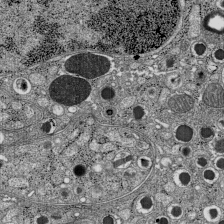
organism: C57BL Mouse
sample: Pancreatic islet